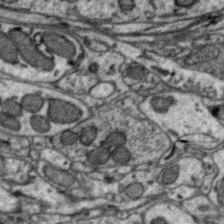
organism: Zebra finch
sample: Brain